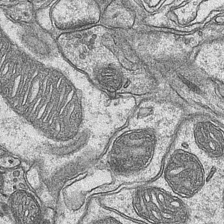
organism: Mouse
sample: CA1 Hippocampus